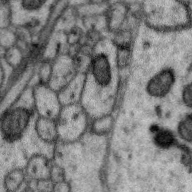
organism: Zebra finch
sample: Brain